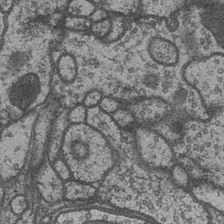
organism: Drosophila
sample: Optic medulla